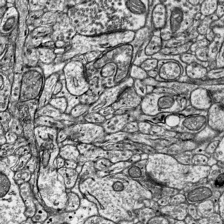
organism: Mouse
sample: Visual Cortex